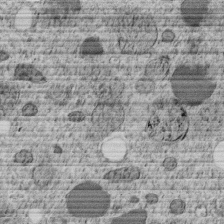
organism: C. elegans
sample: C. elegans embryo early stage